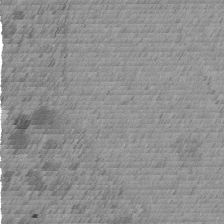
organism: C. elegans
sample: C. elegans embryo early stage